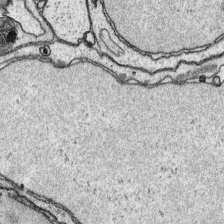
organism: Platynereis dumerilii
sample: Parapodia